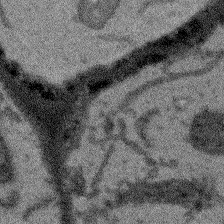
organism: Arabidopsis thaliana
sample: Root tip